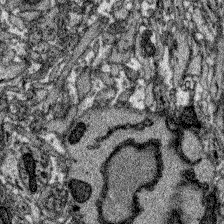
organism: Zebrafish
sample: Larval olfactory bulb